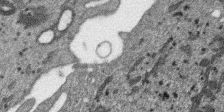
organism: Human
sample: Lung epithelial cells infected with SARS-CoV-2